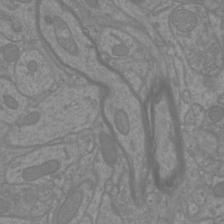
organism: Mouse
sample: Cortical neurons